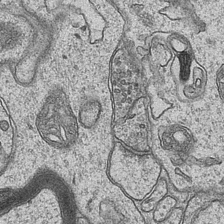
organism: Mouse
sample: CA1 Hippocampus